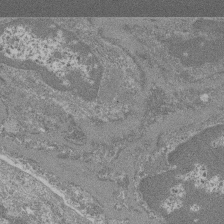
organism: Mouse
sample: Glomerulus